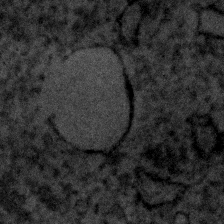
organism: Human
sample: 1205lu cells